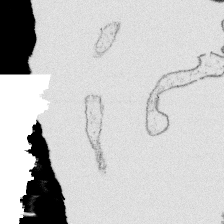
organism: Platynereis dumerilii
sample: Parapodia